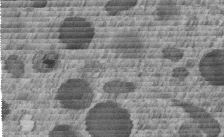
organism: C. elegans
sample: C. elegans embryo early stage